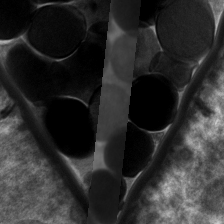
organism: C. elegans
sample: Pharynx